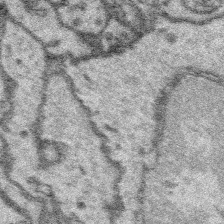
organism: Platynereis dumerilii